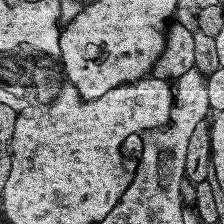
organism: Human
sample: Temporal Lobe